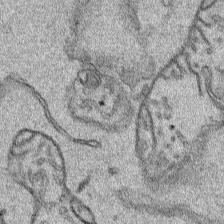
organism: Human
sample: Mitochondria in HCT116 cells